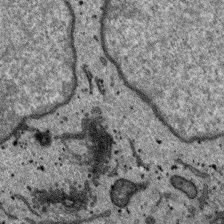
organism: Human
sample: Lung epithelial cells, uninfected (mock) control